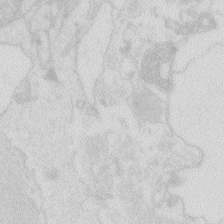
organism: Zebrafish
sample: Macrophage